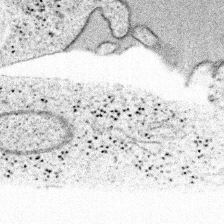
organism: Human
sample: HeLa cells